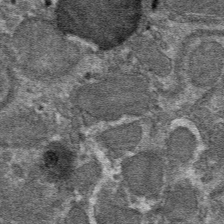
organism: Mouse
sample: Mouse hepatocytes